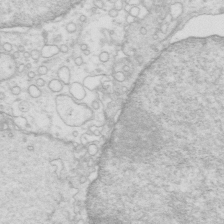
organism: Mouse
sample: Multiciliated cells